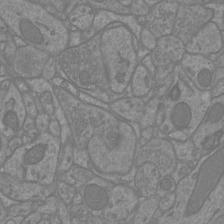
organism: Mouse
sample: Cortical neurons